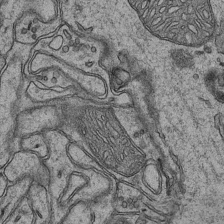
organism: Mouse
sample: CA1 Hippocampus